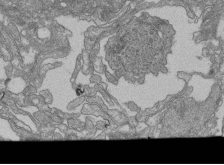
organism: Human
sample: Retinal organoid Rod and Cone cells